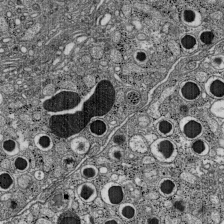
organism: C57BL Mouse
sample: Pancreatic islet